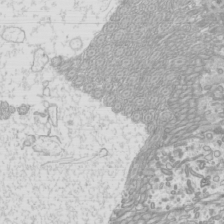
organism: Mouse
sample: Cilia; mouse epididymis